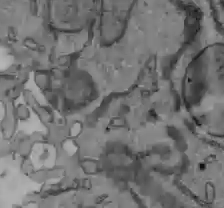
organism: C57BL Mouse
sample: Liver